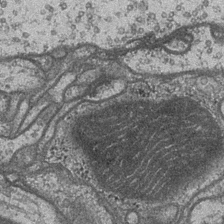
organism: Drosophila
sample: Optic medulla